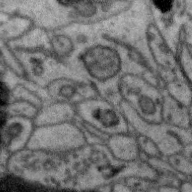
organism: Zebra finch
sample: Brain